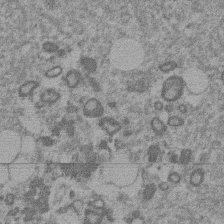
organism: Mouse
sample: Dividing mouse embryo 1 cell stage